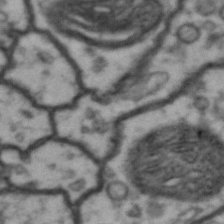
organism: Drosophila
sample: Brain